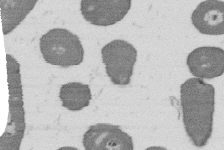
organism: B. subtilis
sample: Bacterial spore